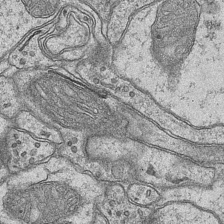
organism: Mouse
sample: CA1 Hippocampus